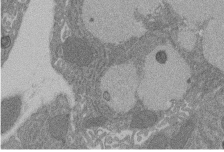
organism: Rat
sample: Salivary granule